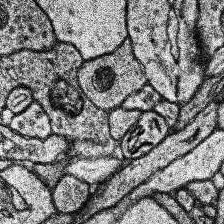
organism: Human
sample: Temporal Lobe